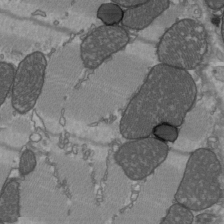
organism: C57BL Mouse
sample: Heart